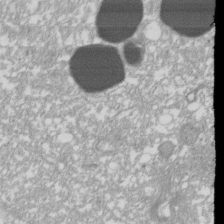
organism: Xenopus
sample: Cilia; centrioles in frog embryo cells